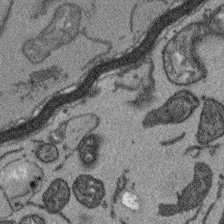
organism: Arabidopsis thaliana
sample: Root tip